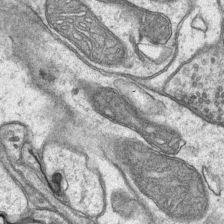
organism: Mouse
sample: CA1 Hippocampus